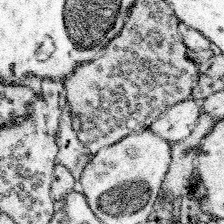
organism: Mouse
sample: Somatosensory cortex neuropil